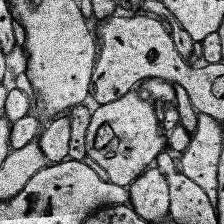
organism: Human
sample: Temporal Lobe